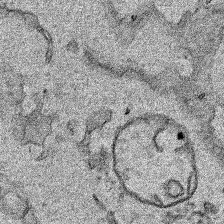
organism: Human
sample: Mitochondria in HCT116 cells